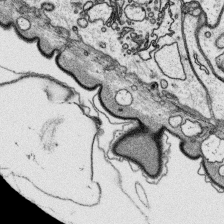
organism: Platynereis dumerilii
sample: Parapodia